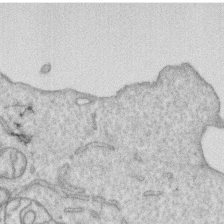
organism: Human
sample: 1205lu cells